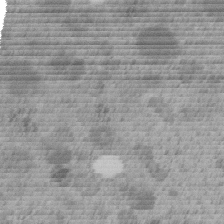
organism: C. elegans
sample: C. elegans embryo early stage